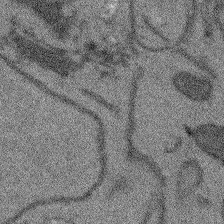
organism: Arabidopsis thaliana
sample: Root tip